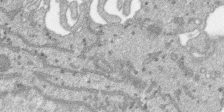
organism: Human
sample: Lung epithelial cells infected with SARS-CoV-2